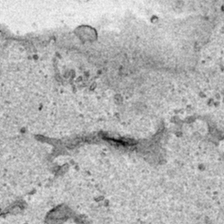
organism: Human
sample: Mitochondria in HCT116 cells